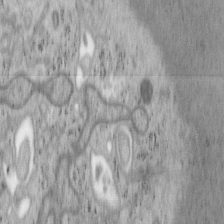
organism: Human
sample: HeLa cells